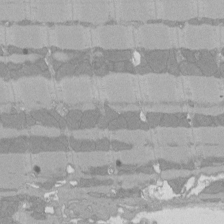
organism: Rat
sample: Left ventricle